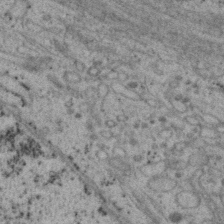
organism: Human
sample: HeLa cells